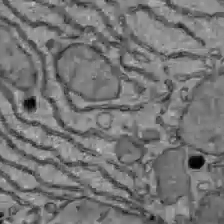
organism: C57BL Mouse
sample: Liver